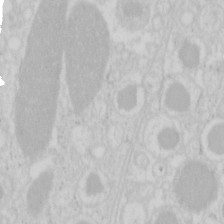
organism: Mouse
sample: Pancreas